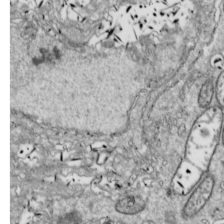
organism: Drosophila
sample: Cell division; meiosis; drosophila spermatocytes